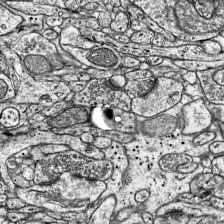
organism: Mouse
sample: Visual Cortex